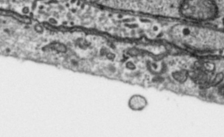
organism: Toxoplasma gondii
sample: Parasites in a vacuole inside a host cell